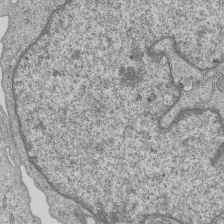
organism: Human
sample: MDA-MB-231 cells